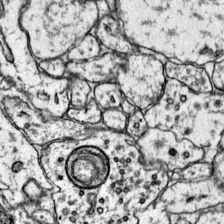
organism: Mouse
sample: Primary visual cortex